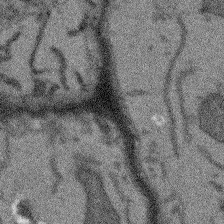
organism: Arabidopsis thaliana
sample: Root tip